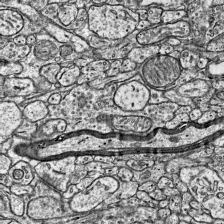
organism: Mouse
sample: Visual Cortex